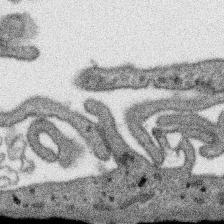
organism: Human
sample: Lung epithelial cells infected with SARS-CoV-2